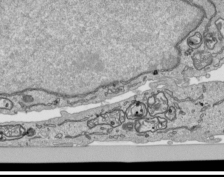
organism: Human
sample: Mitochondria in HCT116 cells